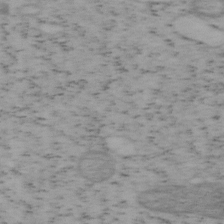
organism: Mouse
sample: OT-I killer T cells with ID8 ovarian cancer cells